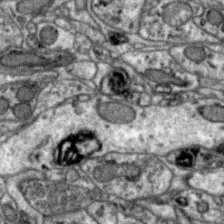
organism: Zebra finch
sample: Brain